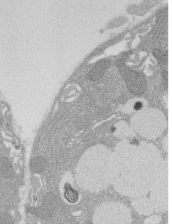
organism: Rat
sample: Salivary granule